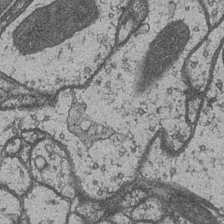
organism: Drosophila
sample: Optic medulla